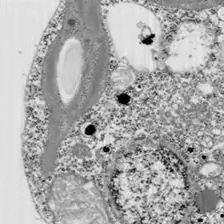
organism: Chlamydomonas reinhardtii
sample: Whole Cell